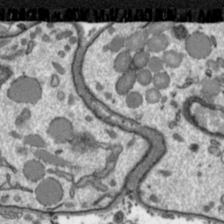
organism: Toxoplasma gondii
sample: Parasites in a vacuole inside a host cell